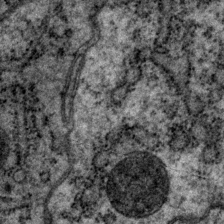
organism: P. pacificus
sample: Pharynx